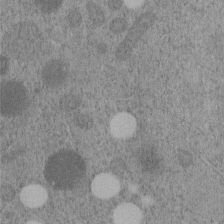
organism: C. elegans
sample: C. elegans embryo early stage